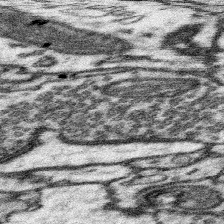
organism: Mouse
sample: Somatosensory cortex neuropil